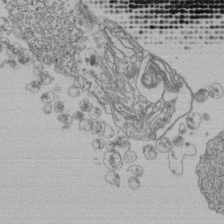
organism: Human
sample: Retinal organoid Rod and Cone cells